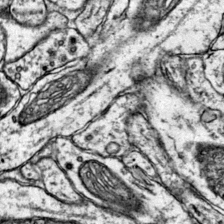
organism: Mouse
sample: Primary visual cortex